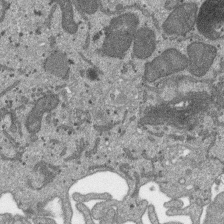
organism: Human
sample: Lung epithelial cells infected with SARS-CoV-2